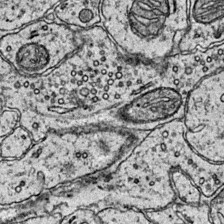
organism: Mouse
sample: Primary visual cortex